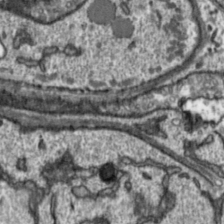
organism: Toxoplasma gondii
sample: Parasites in a vacuole inside a host cell